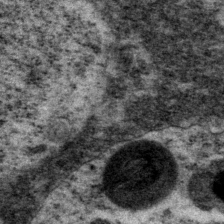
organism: P. pacificus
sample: Pharynx